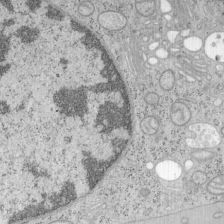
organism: Mouse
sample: OT-I killer T cells with ID8 ovarian cancer cells